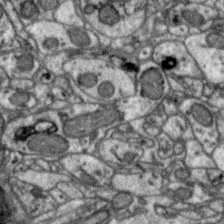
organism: Zebra finch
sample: Brain